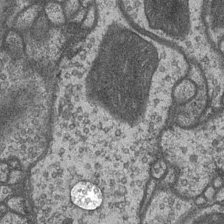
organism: Drosophila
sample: Optic medulla